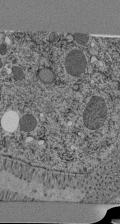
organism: C. elegans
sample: C. elegans pharynx